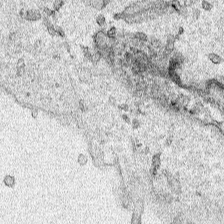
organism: Human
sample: Mitochondria in HCT116 cells